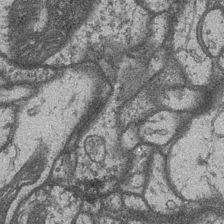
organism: Drosophila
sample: Optic medulla